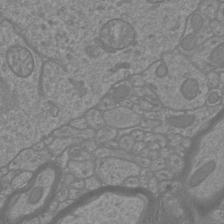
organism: Mouse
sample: Cortical neurons